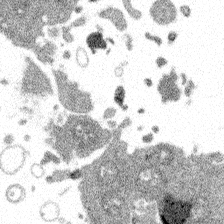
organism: Spongilla lacustris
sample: Multiple